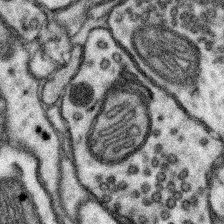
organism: Mouse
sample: Somatosensory cortex neuropil